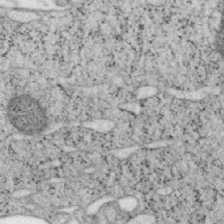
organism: Mouse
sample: OT-I killer T cells with ID8 ovarian cancer cells